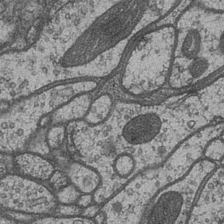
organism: Drosophila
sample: Optic medulla